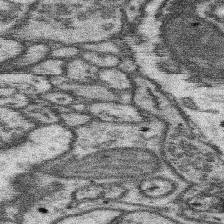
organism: Mouse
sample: Somatosensory cortex neuropil